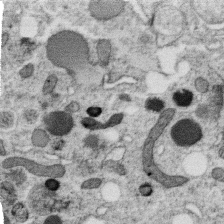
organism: C. elegans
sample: C. elegans oocyte; sperm cells